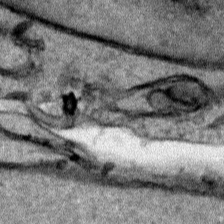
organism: Human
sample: Mitochondria in HCT116 cells